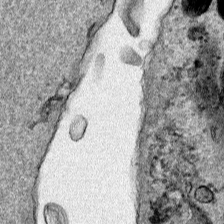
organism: Human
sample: Mitochondria in HCT116 cells